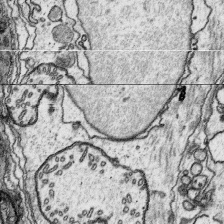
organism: Platynereis dumerilii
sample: Parapodia